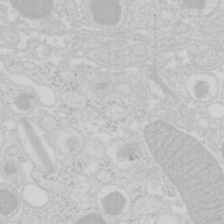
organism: Mouse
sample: Pancreas